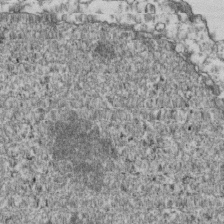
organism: Human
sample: Activated Jurkat CD4+ T cells